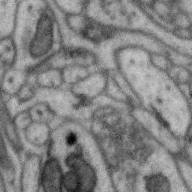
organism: Zebra finch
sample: Brain